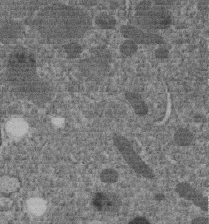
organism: C. elegans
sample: C. elegans embryo early stage